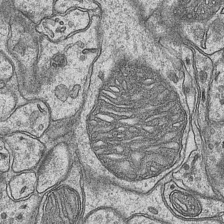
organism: Mouse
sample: CA1 Hippocampus